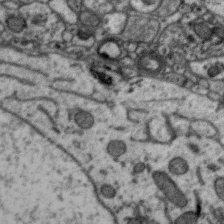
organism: Zebra finch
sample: Brain